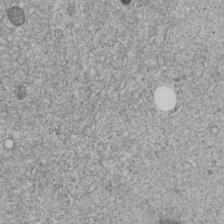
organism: C. elegans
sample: C. elegans embryo early stage